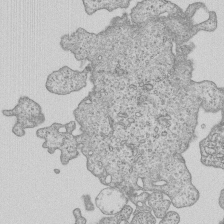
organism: Human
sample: MDA-MB-231 cells